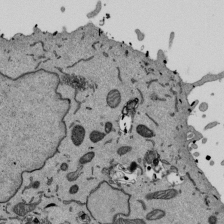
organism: Mouse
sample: ED-1 cell nuclei; centrioles